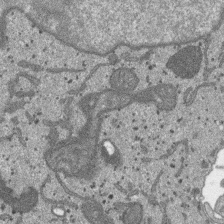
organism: Human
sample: Lung epithelial cells infected with SARS-CoV-2